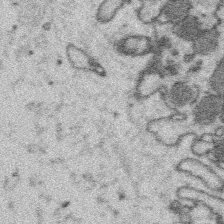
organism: Platynereis dumerilii